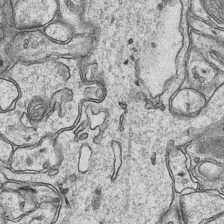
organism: Mouse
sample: CA1 Hippocampus